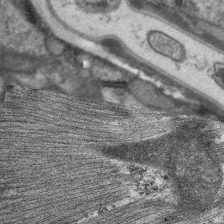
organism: C. elegans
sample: Pharynx